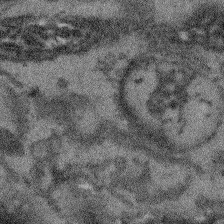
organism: Arabidopsis thaliana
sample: Root tip